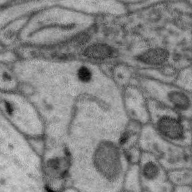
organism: Zebra finch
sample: Brain